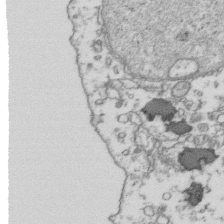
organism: Human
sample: Activated Jurkat CD4+ T cells